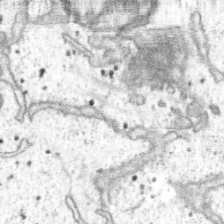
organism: Human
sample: HeLa cells